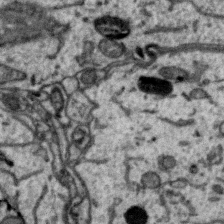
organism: Zebra finch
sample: Brain